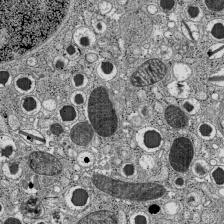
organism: C57BL Mouse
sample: Pancreatic islet